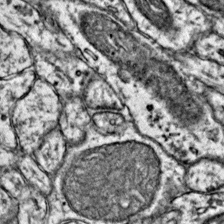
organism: Mouse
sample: Primary visual cortex